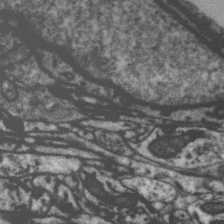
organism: Zebra finch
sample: Brain